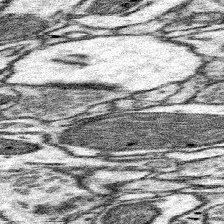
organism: Mouse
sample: Somatosensory cortex neuropil